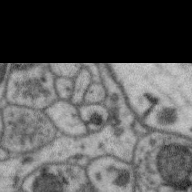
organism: Zebra finch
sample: Brain